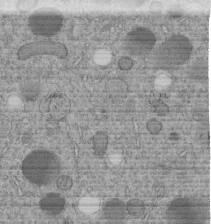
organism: C. elegans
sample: C. elegans embryo early stage